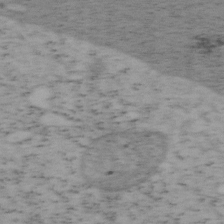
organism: Mouse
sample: OT-I killer T cells with ID8 ovarian cancer cells